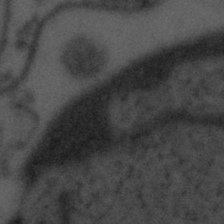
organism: Tuwongella immobilis